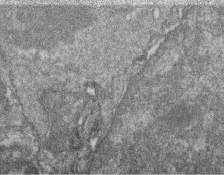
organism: Zebrafish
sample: Cilia; retinal pigment epithelium